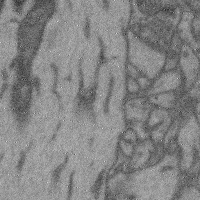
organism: Mouse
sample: Cerebral cortex